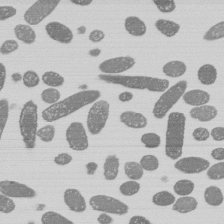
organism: E. coli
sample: Bacterial nucleoid